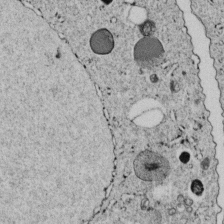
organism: C. elegans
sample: C. elegans embryo early stage